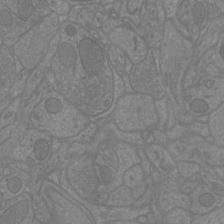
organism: Mouse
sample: Cortical neurons